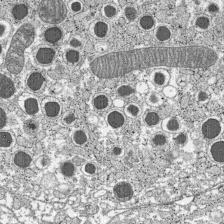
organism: C57BL Mouse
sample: Pancreatic islet